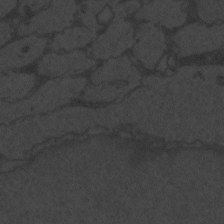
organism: Zebrafish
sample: Macrophage infected with Toxoplasma gondii